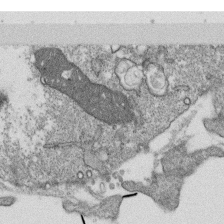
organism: African green monkey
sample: Vero E6 cells infected with SARS-CoV-2